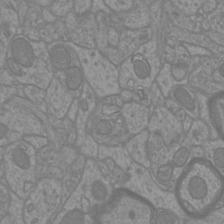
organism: Mouse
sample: Cortical neurons